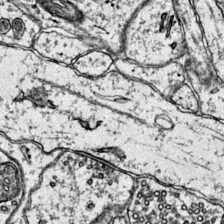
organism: Mouse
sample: Primary visual cortex